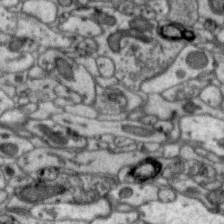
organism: Zebra finch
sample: Brain